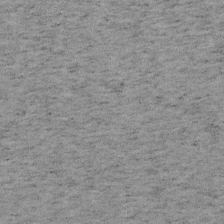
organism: Mouse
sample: OT-I killer T cells with ID8 ovarian cancer cells